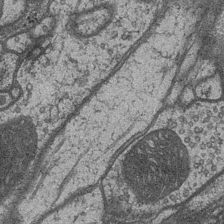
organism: Drosophila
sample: Optic medulla